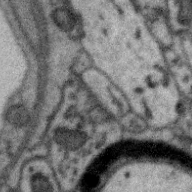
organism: Zebra finch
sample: Brain